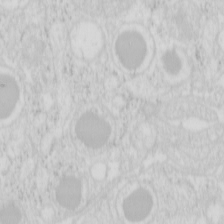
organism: Mouse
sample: Pancreas